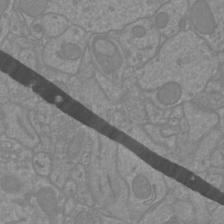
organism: Mouse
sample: Cortical neurons